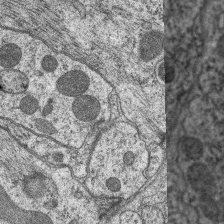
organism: C. elegans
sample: Pharynx